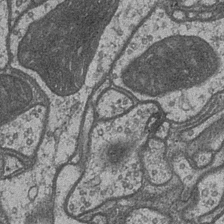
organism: Drosophila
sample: Optic medulla